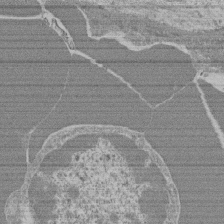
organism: Mouse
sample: Glomerulus